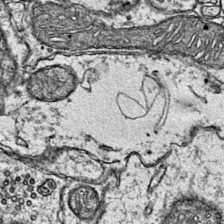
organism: Mouse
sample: Primary visual cortex